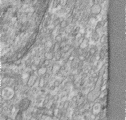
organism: Human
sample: Centriole in RPE cells